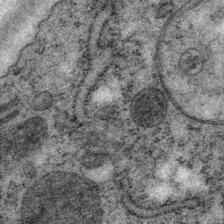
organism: P. pacificus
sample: Pharynx